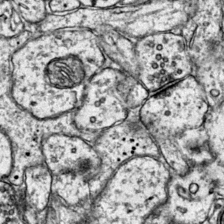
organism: Mouse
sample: Primary visual cortex